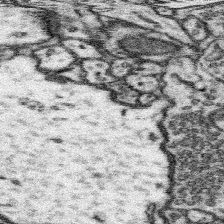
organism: Mouse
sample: Somatosensory cortex neuropil